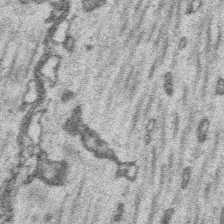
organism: Platynereis dumerilii